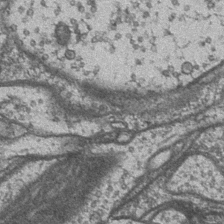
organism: Drosophila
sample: Optic medulla